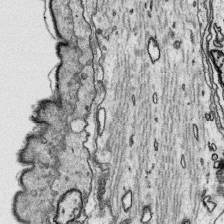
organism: Platynereis dumerilii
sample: Parapodia